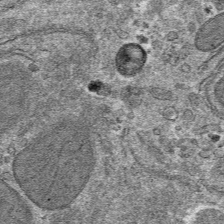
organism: Mouse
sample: Mouse hepatocytes